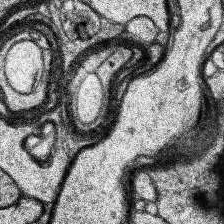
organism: Human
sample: Temporal Lobe